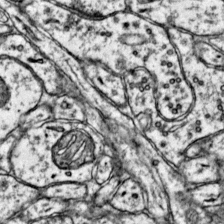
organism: Mouse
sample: Primary visual cortex